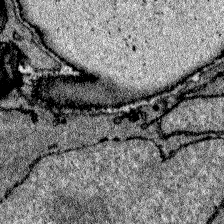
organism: Zebrafish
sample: Larval olfactory bulb